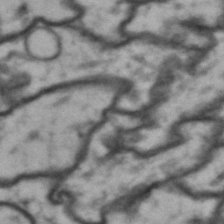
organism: Drosophila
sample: Brain